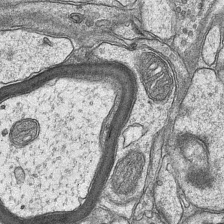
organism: Mouse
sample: CA1 Hippocampus